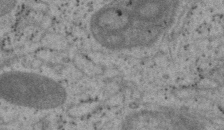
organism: Human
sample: HeLa cells